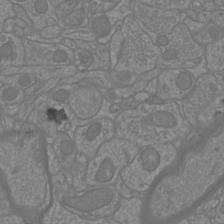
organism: Mouse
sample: Cortical neurons